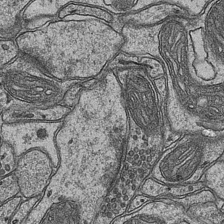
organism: Mouse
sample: CA1 Hippocampus